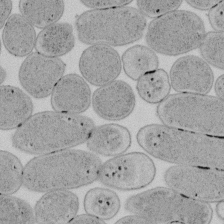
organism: E. coli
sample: Bacterial nucleoid